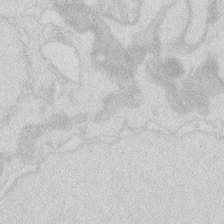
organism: Zebrafish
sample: Macrophage